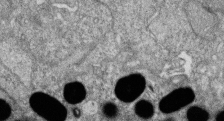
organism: Zebrafish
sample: Cilia; retinal pigment epithelium